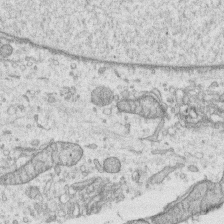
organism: Human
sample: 1205lu cells